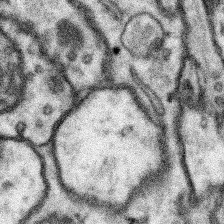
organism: Mouse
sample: Somatosensory cortex neuropil